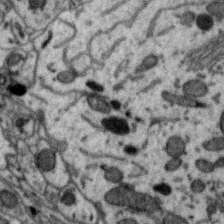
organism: Zebra finch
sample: Brain